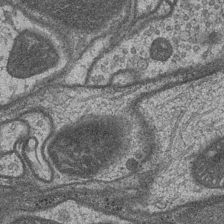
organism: Drosophila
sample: Optic medulla